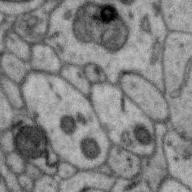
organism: Zebra finch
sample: Brain